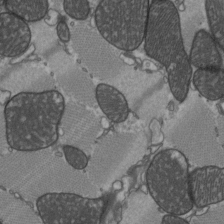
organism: C57BL Mouse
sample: Heart